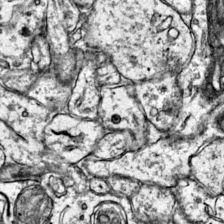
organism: Mouse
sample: Primary visual cortex